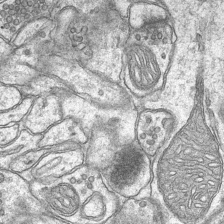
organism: Mouse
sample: CA1 Hippocampus